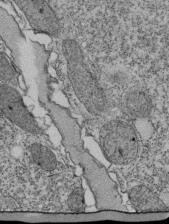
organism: Tetrahymena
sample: Cilia in tetrahymena